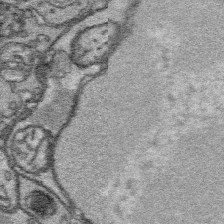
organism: Platynereis dumerilii